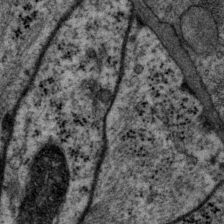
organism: P. pacificus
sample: Pharynx